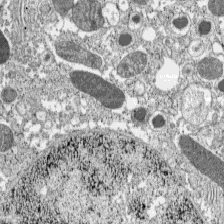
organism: C57BL Mouse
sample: Pancreatic islet